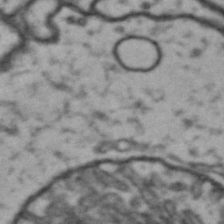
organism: Drosophila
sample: Brain